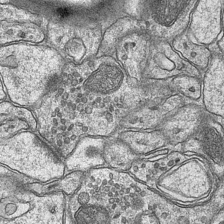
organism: Mouse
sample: CA1 Hippocampus